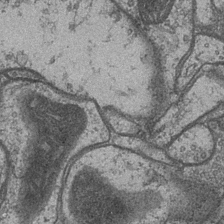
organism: Drosophila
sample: Optic medulla